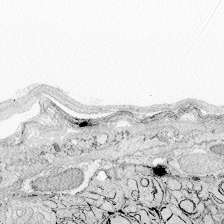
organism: Zebrafish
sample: Whole-Brain